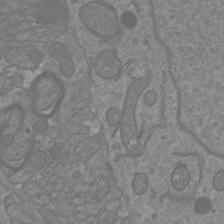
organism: Mouse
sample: Cortical neurons